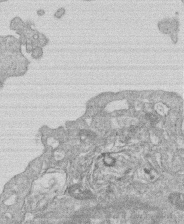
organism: Human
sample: Macrophage cells